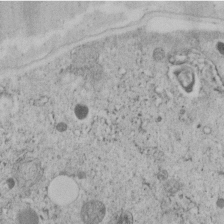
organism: C. elegans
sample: C. elegans embryo early stage